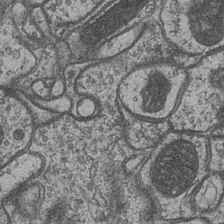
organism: Drosophila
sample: Optic medulla